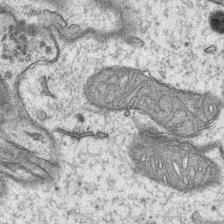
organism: Mouse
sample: CA1 Hippocampus